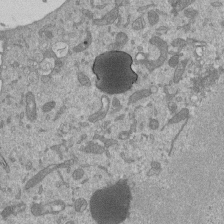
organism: Mouse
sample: ED-1 cell nuclei; centrioles